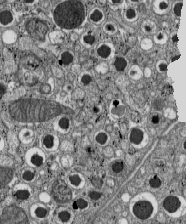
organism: C57BL Mouse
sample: Pancreatic islet